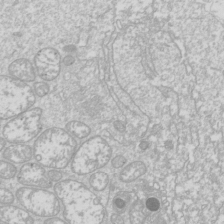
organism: Drosophila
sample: Cell division; meiosis; drosophila spermatocytes